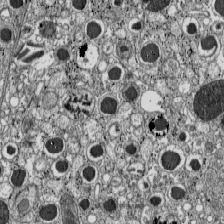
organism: C57BL Mouse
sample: Pancreatic islet